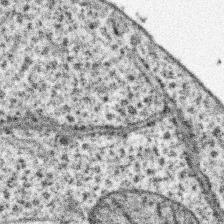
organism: Human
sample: HeLa cells